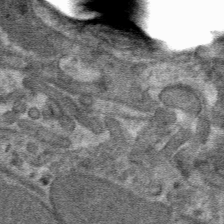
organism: Mouse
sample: Mouse hepatocytes